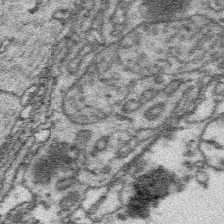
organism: Platynereis dumerilii